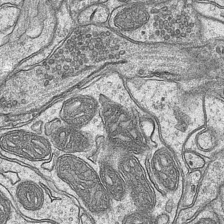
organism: Mouse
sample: CA1 Hippocampus